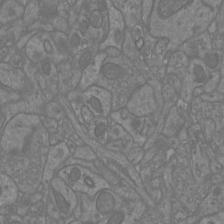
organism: Mouse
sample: Cortical neurons